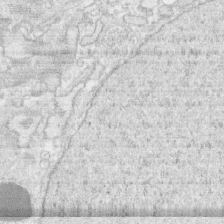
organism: Human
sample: CRL-1474